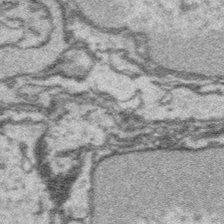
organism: Platynereis dumerilii